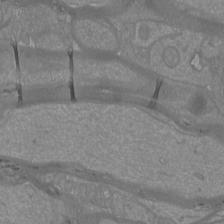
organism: Mouse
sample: Cortical neurons